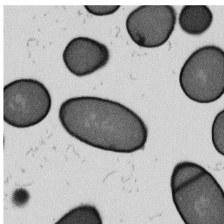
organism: B. subtilis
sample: Bacterial spore